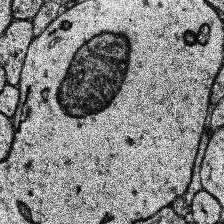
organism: Human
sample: Temporal Lobe